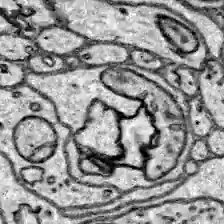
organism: Zebrafish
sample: Brain